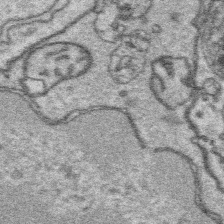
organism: Platynereis dumerilii